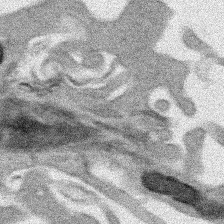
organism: Human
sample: Mitochondria in HCT116 cells